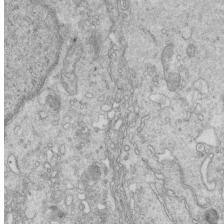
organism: Mouse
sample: Multiciliated cells